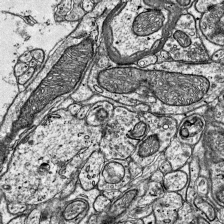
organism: Mouse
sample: Visual Cortex